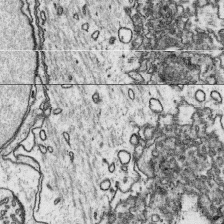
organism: Platynereis dumerilii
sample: Parapodia